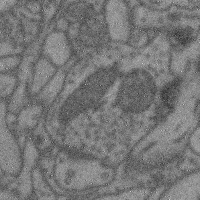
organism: Mouse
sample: Cerebral cortex